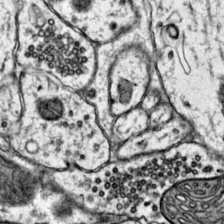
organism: Mouse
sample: Primary visual cortex